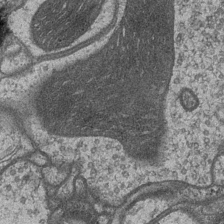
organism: Drosophila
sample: Optic medulla